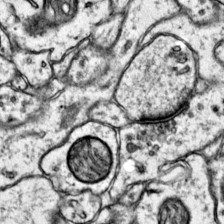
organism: Mouse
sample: Primary visual cortex